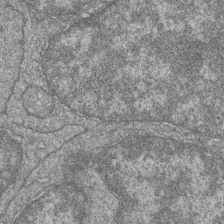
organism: Zebrafish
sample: Cilia; retinal pigment epithelium